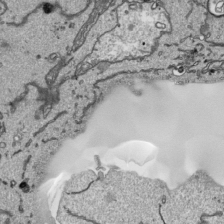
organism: Human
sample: Mitochondria in HCT116 cells